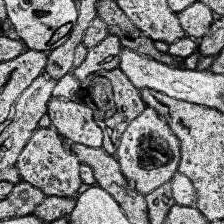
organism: Human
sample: Temporal Lobe